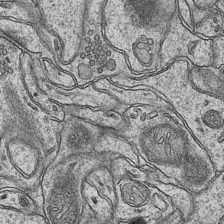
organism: Mouse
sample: CA1 Hippocampus